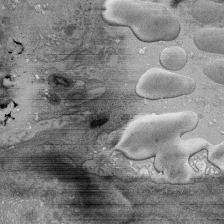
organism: Human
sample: Retinal organoid Rod and Cone cells